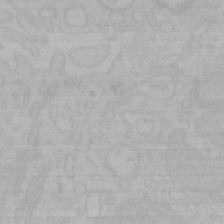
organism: Mouse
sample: Choroid plexus